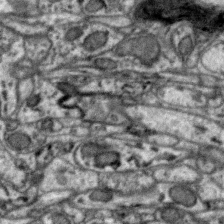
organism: Zebra finch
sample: Brain